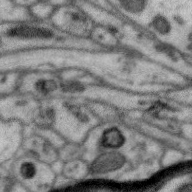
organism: Zebra finch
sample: Brain